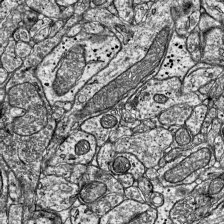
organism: Mouse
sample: Visual Cortex